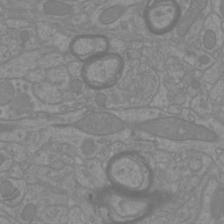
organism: Mouse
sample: Cortical neurons